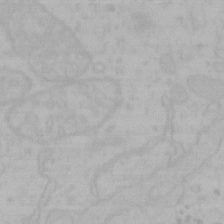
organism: Mouse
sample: Choroid plexus